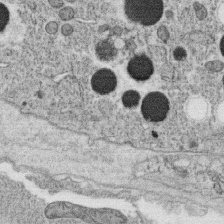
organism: C. elegans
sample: C. elegans oocyte; sperm cells